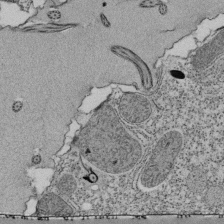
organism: Tetrahymena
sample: Cilia in tetrahymena